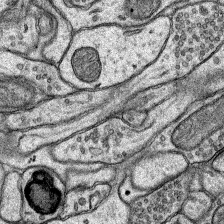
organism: Rat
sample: Hippocampus